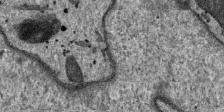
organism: Human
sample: Lung epithelial cells, uninfected (mock) control